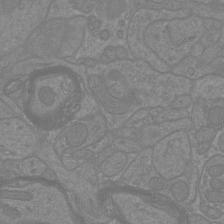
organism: Mouse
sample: Cortical neurons